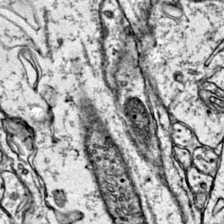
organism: Mouse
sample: Primary visual cortex